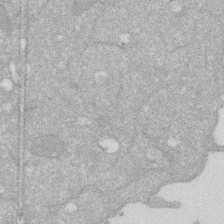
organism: Human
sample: HIV infected U937 cells